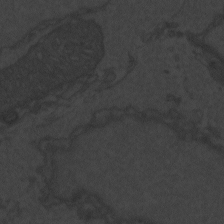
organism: Zebrafish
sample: Macrophage infected with Toxoplasma gondii